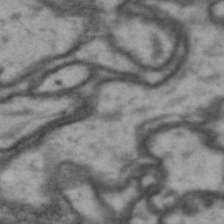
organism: Drosophila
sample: Brain